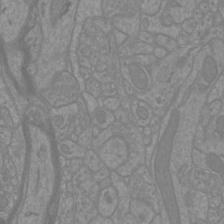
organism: Mouse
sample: Cortical neurons